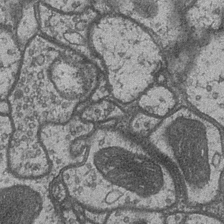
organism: Drosophila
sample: Optic medulla